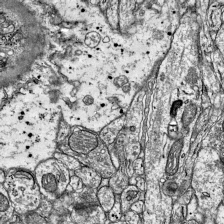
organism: Mouse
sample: Visual Cortex